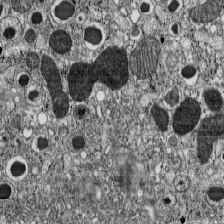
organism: C57BL Mouse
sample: Pancreatic islet